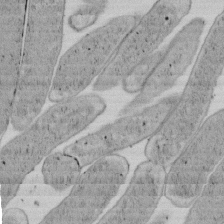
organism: E. coli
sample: Bacterial nucleoid